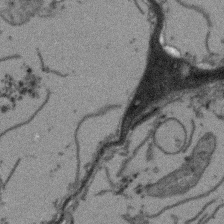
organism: Arabidopsis thaliana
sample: Root tip